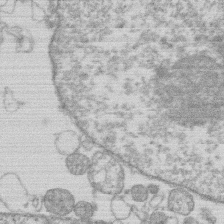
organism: Human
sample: Macrophage cells